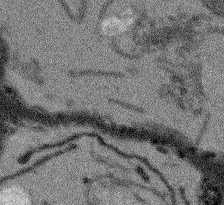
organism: Arabidopsis thaliana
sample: Root tip